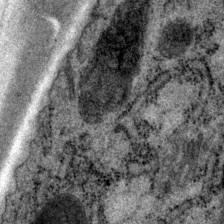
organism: P. pacificus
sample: Pharynx